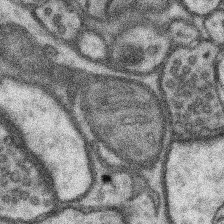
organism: Mouse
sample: Somatosensory cortex neuropil